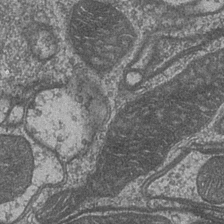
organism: Drosophila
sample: Optic medulla